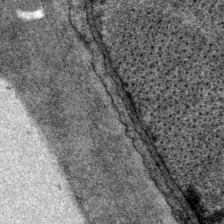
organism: P. pacificus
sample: Pharynx